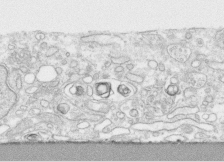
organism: Human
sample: CRL-1474